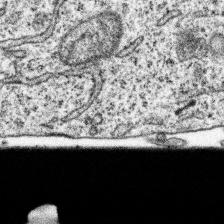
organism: Human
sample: HeLa cells